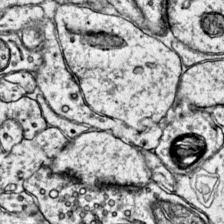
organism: Mouse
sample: Primary visual cortex